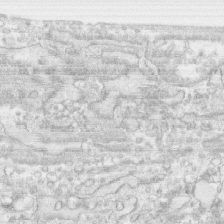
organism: Human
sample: CRL-1474